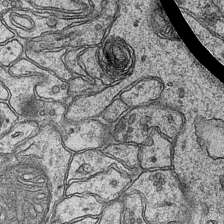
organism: Mouse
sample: CA1 Hippocampus